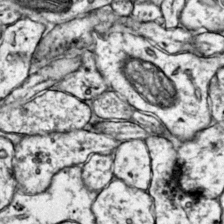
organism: Mouse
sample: Primary visual cortex